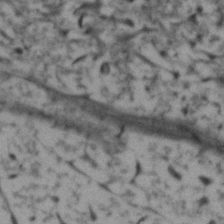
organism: Zebrafish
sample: Zebrafish embryo